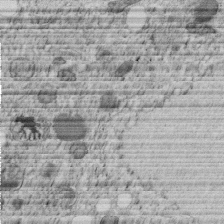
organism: C. elegans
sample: C. elegans embryo early stage